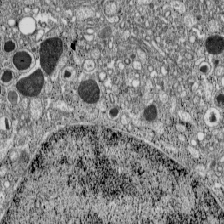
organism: C57BL Mouse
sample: Pancreatic islet